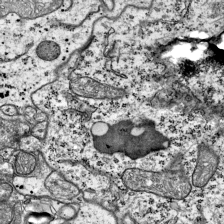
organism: Mouse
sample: Visual Cortex